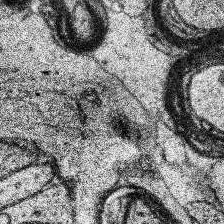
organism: Human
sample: Temporal Lobe